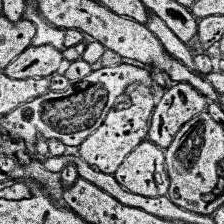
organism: Human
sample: Temporal Lobe